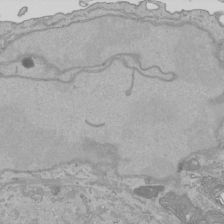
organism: Human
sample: Mitochondria in HCT116 cells